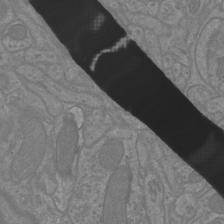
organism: Mouse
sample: Cortical neurons